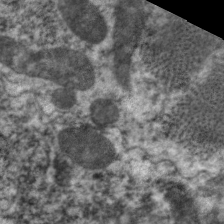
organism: C. elegans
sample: Pharynx